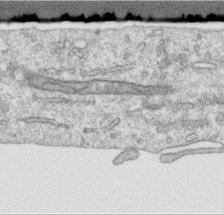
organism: Human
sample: Centriole in RPE cells